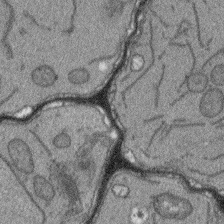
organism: Arabidopsis thaliana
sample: Root tip